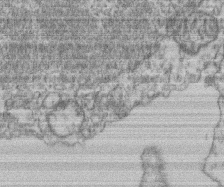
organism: Mouse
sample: T cell stromal cell synapse